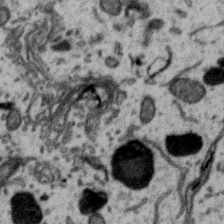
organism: Zebra finch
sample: Brain